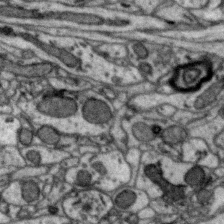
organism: Zebra finch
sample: Brain